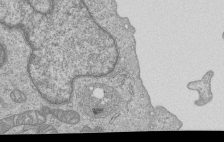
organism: Human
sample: MDA-MB-231 cells